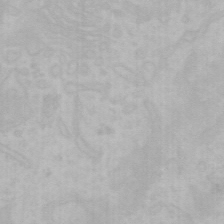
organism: Mouse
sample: Choroid plexus